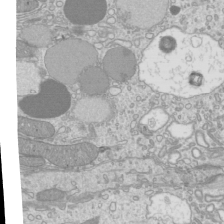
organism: Mouse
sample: Cilia; mouse epididymis